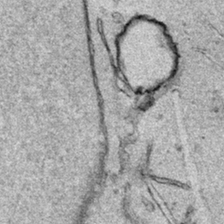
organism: Human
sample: Mitochondria in HCT116 cells